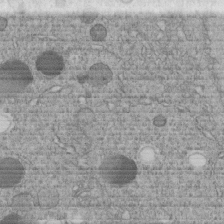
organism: C. elegans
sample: C. elegans embryo early stage